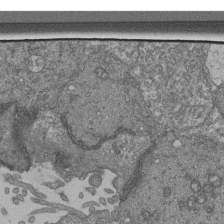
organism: Human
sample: Retinal organoid Rod and Cone cells